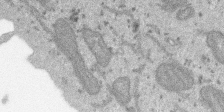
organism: Human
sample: Lung epithelial cells infected with SARS-CoV-2